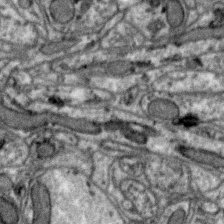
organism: Zebra finch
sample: Brain